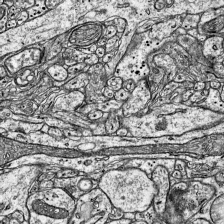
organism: Mouse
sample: Visual Cortex